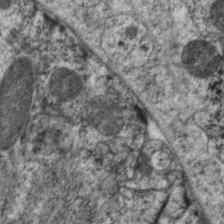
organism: C. elegans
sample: Pharynx